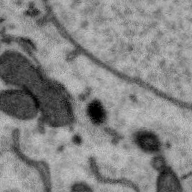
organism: Zebra finch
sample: Brain